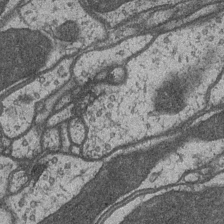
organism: Drosophila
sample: Optic medulla